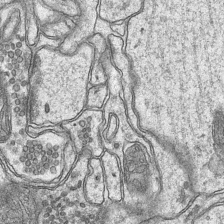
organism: Mouse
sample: CA1 Hippocampus